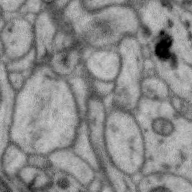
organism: Zebra finch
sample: Brain